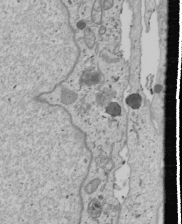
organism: Human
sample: Mitochondria in U2OS cells